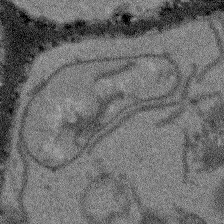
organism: Arabidopsis thaliana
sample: Root tip